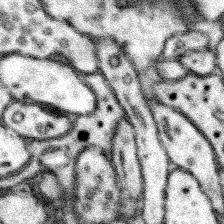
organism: Mouse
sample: Somatosensory cortex neuropil